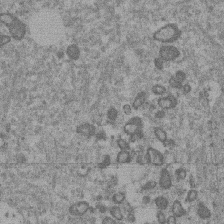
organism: Mouse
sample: Dividing mouse embryo 1 cell stage